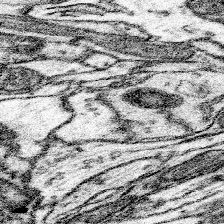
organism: Mouse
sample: Somatosensory cortex neuropil